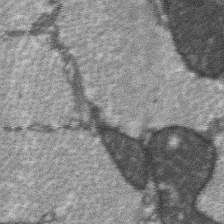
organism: C57BL Mouse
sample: Soleus